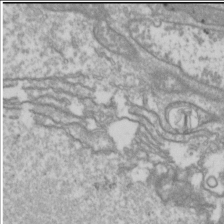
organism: Drosophila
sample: Cell division; meiosis; drosophila spermatocytes